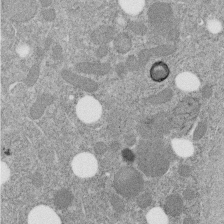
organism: C. elegans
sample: C. elegans embryo early stage